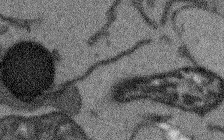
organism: Arabidopsis thaliana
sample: Root tip